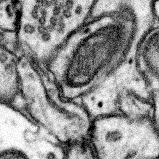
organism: Mouse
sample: Somatosensory cortex neuropil